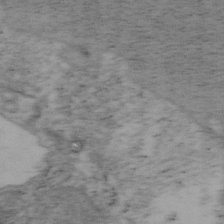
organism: Mouse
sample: OT-I killer T cells with ID8 ovarian cancer cells